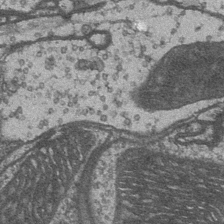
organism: Drosophila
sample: Optic medulla